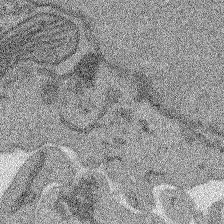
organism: Human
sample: HeLa cells